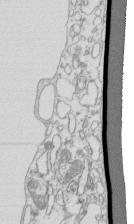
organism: Mouse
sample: Macrophages